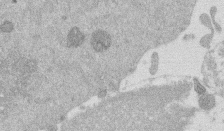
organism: Mouse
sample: Dividing mouse embryo 1 cell stage